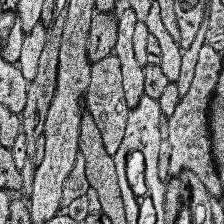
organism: Human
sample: Temporal Lobe